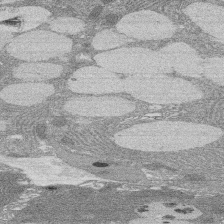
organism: Rat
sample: Salivary granule